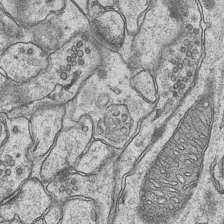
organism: Mouse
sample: CA1 Hippocampus